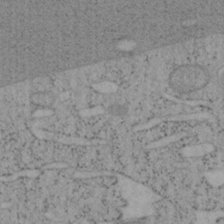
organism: Mouse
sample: OT-I killer T cells with ID8 ovarian cancer cells